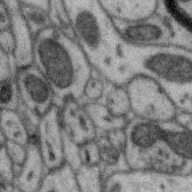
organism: Zebra finch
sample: Brain